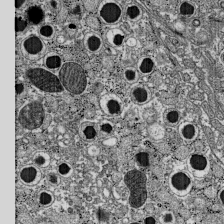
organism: C57BL Mouse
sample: Pancreatic islet